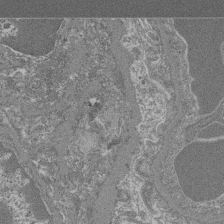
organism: Mouse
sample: Glomerulus